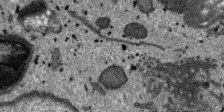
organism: Human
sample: Lung epithelial cells, uninfected (mock) control